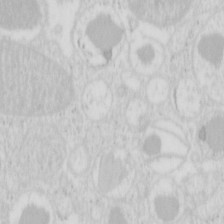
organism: Mouse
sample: Pancreas